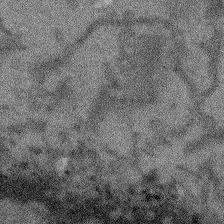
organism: Arabidopsis thaliana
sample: Root tip